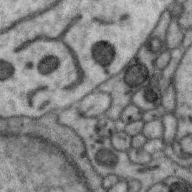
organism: Zebra finch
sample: Brain